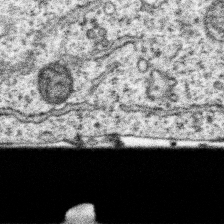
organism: Human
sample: HeLa cells